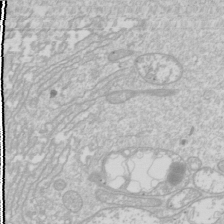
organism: Drosophila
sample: Cell division; meiosis; drosophila spermatocytes